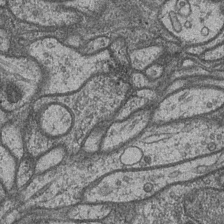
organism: Drosophila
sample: Optic medulla